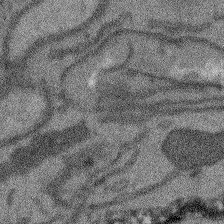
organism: Arabidopsis thaliana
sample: Root tip